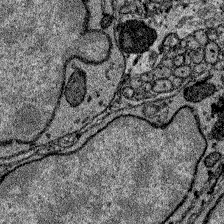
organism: Zebrafish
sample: Larval olfactory bulb